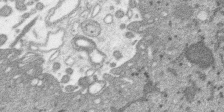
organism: Human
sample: Lung epithelial cells infected with SARS-CoV-2